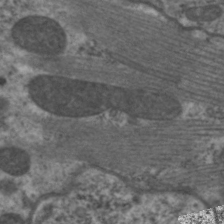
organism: C. elegans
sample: Pharynx